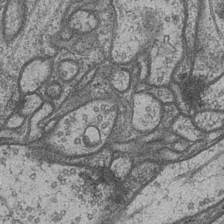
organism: Drosophila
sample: Optic medulla